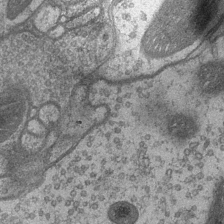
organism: Drosophila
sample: Optic medulla